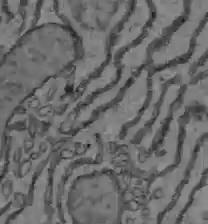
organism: C57BL Mouse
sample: Liver